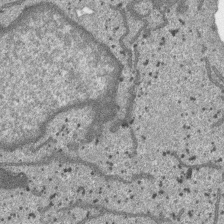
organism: Human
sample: Lung epithelial cells infected with SARS-CoV-2